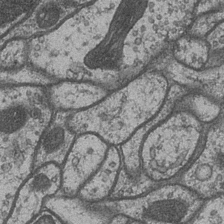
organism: Drosophila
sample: Optic medulla